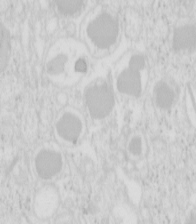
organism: Mouse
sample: Pancreas